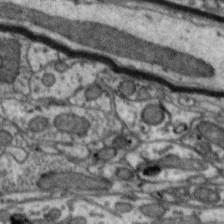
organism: Zebra finch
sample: Brain